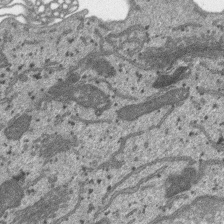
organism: Human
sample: Lung epithelial cells infected with SARS-CoV-2